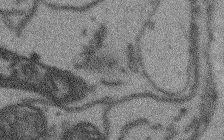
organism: Arabidopsis thaliana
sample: Root tip